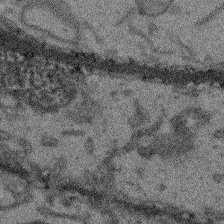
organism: Arabidopsis thaliana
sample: Root tip